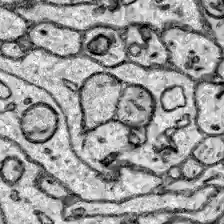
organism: Zebrafish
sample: Brain